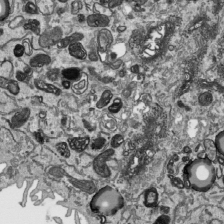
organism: Human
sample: Mitochondria in HCT116 cells